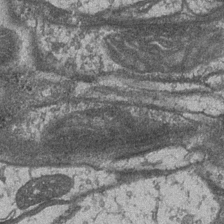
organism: Drosophila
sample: Optic medulla